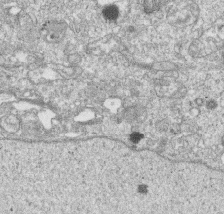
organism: Human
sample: HeLa cell HIV synapse